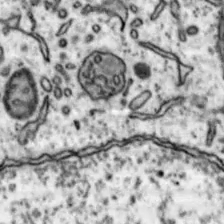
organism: Mouse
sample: Nucleus accumbens